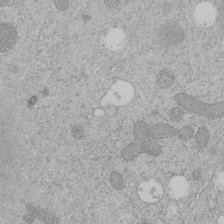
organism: C. elegans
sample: C. elegans embryo early stage